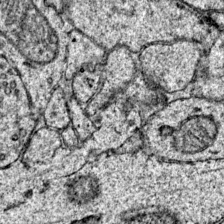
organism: Mouse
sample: Primary visual cortex